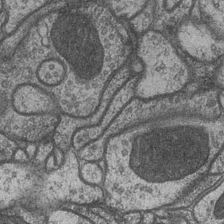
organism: Drosophila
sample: Optic medulla